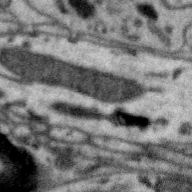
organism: Zebra finch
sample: Brain